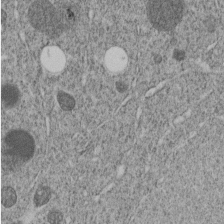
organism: C. elegans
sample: C. elegans embryo early stage